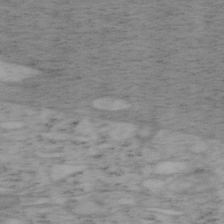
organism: Mouse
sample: OT-I killer T cells with ID8 ovarian cancer cells